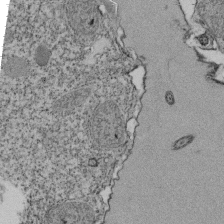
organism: Tetrahymena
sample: Cilia in tetrahymena